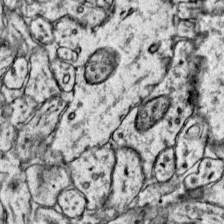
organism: Mouse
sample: Primary visual cortex